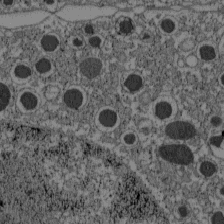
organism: C57BL Mouse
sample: Pancreatic islet